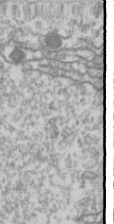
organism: Drosophila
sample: Cell division; meiosis; drosophila spermatocytes